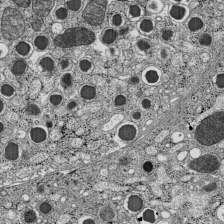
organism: C57BL Mouse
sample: Pancreatic islet